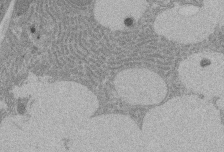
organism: Rat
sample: Salivary granule